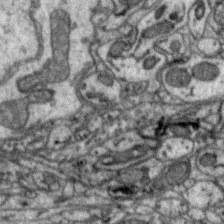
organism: Zebra finch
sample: Brain